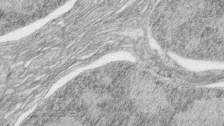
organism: Zebrafish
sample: synaptic ribbons in rod cells and cone cells